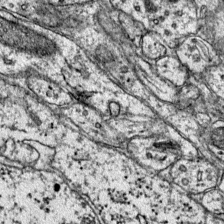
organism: Mouse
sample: Primary visual cortex